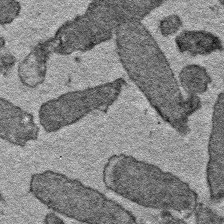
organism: E. coli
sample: E. Coli Bacteria